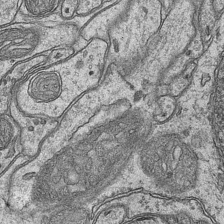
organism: Mouse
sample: CA1 Hippocampus